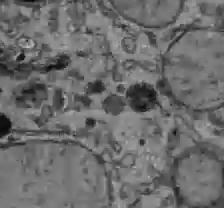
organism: C57BL Mouse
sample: Liver